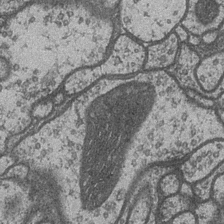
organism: Drosophila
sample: Optic medulla